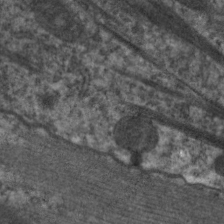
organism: C. elegans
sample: Pharynx